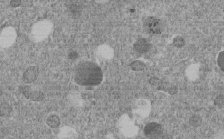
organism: C. elegans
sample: C. elegans embryo early stage